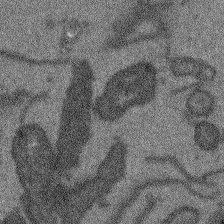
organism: Arabidopsis thaliana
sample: Root tip